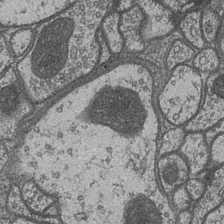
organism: Drosophila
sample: Optic medulla